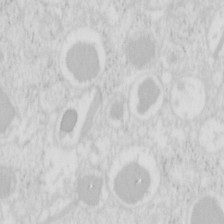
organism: Mouse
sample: Pancreas